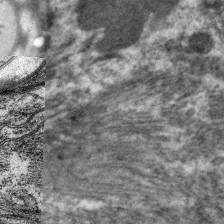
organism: C. elegans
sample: Pharynx